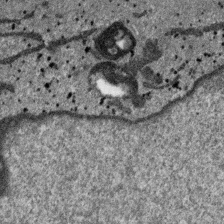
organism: Human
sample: Lung epithelial cells, uninfected (mock) control